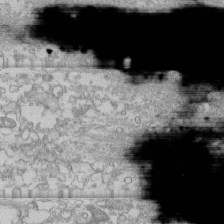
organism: Human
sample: CRL-1474